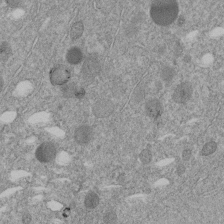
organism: C. elegans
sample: C. elegans embryo early stage